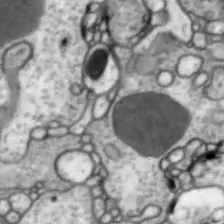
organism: Drosophila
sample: Optic lobe